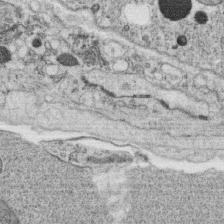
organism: C. elegans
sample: C. elegans oocyte; sperm cells